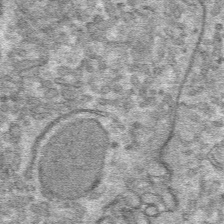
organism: Mouse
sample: Mouse hepatocytes